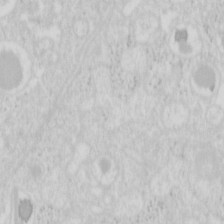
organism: Mouse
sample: Pancreas